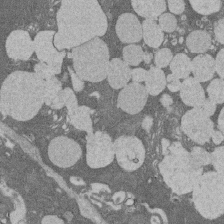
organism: Rat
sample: Salivary granule